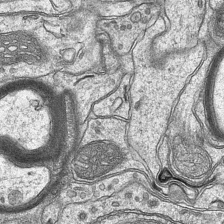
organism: Mouse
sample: CA1 Hippocampus